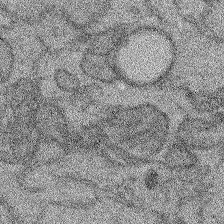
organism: Human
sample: HeLa cells